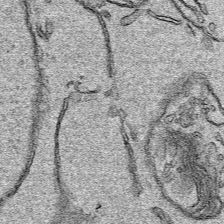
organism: Human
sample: Mitochondria in HCT116 cells